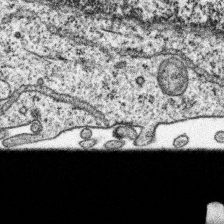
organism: Human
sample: HeLa cells